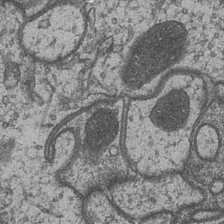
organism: Drosophila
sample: Optic medulla